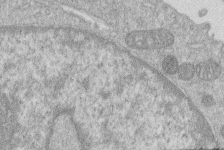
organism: Human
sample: Macrophage cells